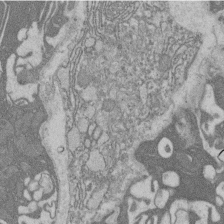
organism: Rat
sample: Salivary granule